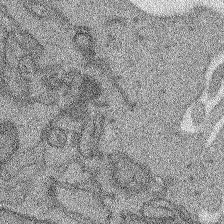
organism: Human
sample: HeLa cells